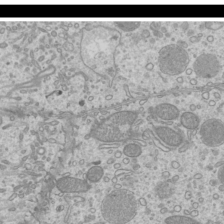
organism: Mouse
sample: Cilia; mouse epididymis